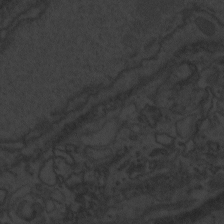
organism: Zebrafish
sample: Macrophage infected with Toxoplasma gondii